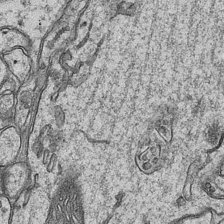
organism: Mouse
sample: CA1 Hippocampus